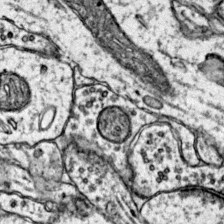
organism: Mouse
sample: Primary visual cortex